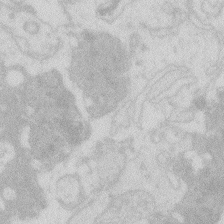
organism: Zebrafish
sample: Macrophage